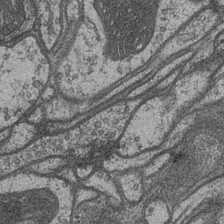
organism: Drosophila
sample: Optic medulla